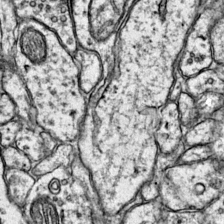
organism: Mouse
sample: Primary visual cortex